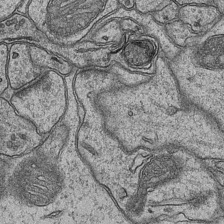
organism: Mouse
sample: CA1 Hippocampus